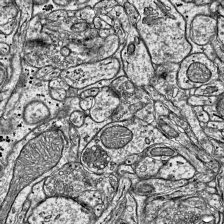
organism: Mouse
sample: Visual Cortex